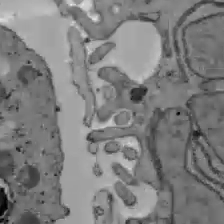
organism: C57BL Mouse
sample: Liver